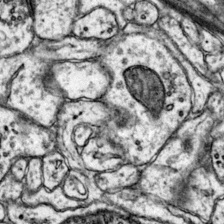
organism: Mouse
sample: Primary visual cortex